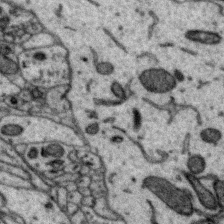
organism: Zebra finch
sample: Brain